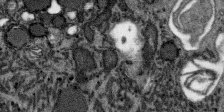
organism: Human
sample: Lung epithelial cells, uninfected (mock) control